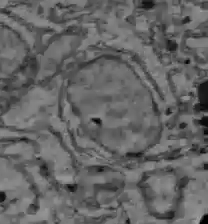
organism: C57BL Mouse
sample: Liver